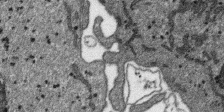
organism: Human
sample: Lung epithelial cells infected with SARS-CoV-2